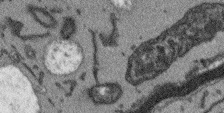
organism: Arabidopsis thaliana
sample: Root tip